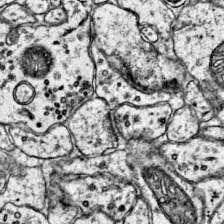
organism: Mouse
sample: Primary visual cortex